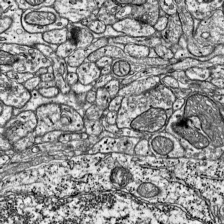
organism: Mouse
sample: Visual Cortex